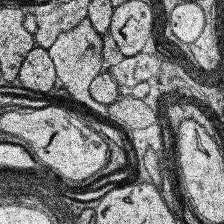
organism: Human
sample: Temporal Lobe